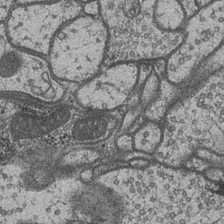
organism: Drosophila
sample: Optic medulla